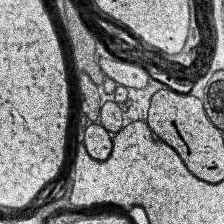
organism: Human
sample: Temporal Lobe